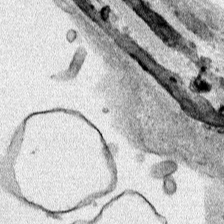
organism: Human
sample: Mitochondria in HCT116 cells